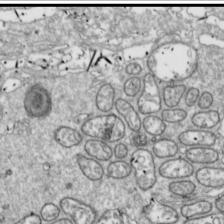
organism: Drosophila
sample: Cell division; meiosis; drosophila spermatocytes